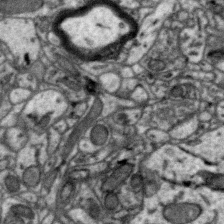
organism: Zebra finch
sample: Brain